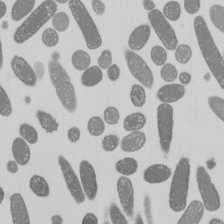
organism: E. coli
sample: Bacterial nucleoid